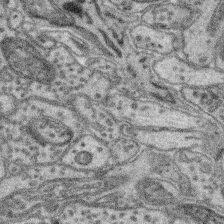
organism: Mouse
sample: Retina